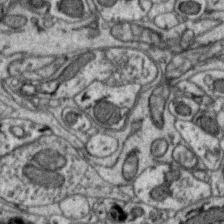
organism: Zebra finch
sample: Brain